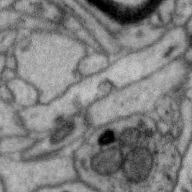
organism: Zebra finch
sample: Brain